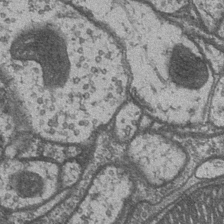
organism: Drosophila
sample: Optic medulla